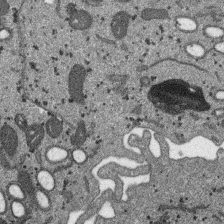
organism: Human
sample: Lung epithelial cells infected with SARS-CoV-2